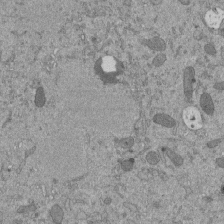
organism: Mouse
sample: ED-1 cell nuclei; centrioles